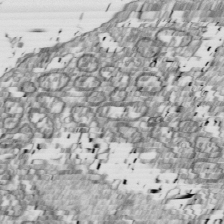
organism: Drosophila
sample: Cell division; meiosis; drosophila spermatocytes